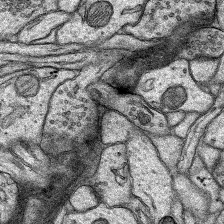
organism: Rat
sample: Hippocampus